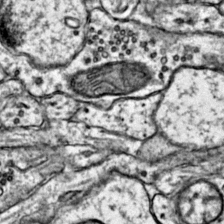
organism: Mouse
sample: Primary visual cortex